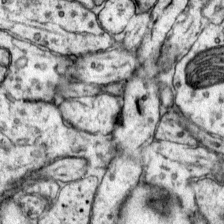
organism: Mouse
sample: Primary visual cortex